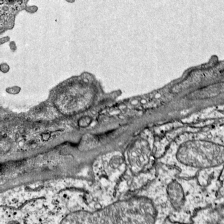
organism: Mouse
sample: Visual Cortex